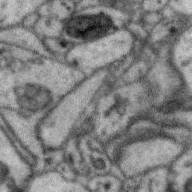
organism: Zebra finch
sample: Brain